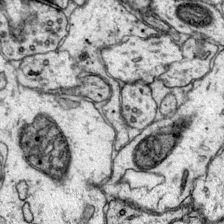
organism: Mouse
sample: Primary visual cortex